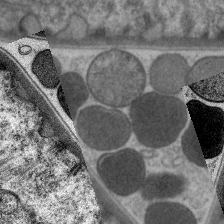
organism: C. elegans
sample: Pharynx